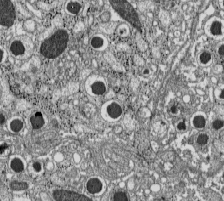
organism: C57BL Mouse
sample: Pancreatic islet